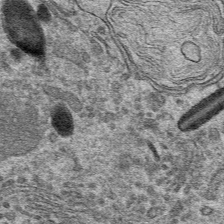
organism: Mouse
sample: Mouse hepatocytes